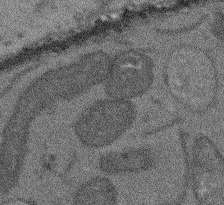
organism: Arabidopsis thaliana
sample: Root tip